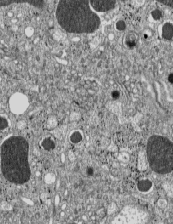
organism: C57BL Mouse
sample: Pancreatic islet